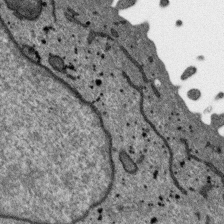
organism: Human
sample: Lung epithelial cells, uninfected (mock) control